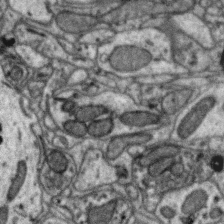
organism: Zebra finch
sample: Brain